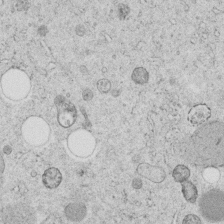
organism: C. elegans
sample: C. elegans embryo early stage